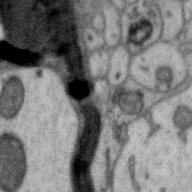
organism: Zebra finch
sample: Brain